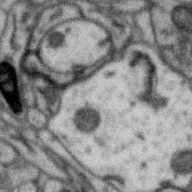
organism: Zebra finch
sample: Brain